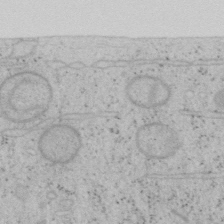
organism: Human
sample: HeLa cells